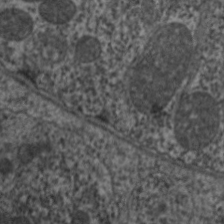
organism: C. elegans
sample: Pharynx